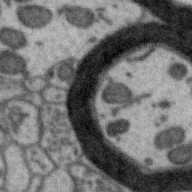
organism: Zebra finch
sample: Brain